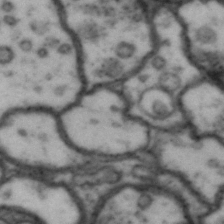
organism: Drosophila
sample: Brain